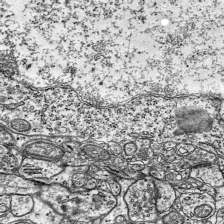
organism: Mouse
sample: Visual Cortex